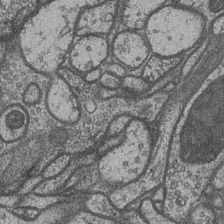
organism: Drosophila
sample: Optic medulla